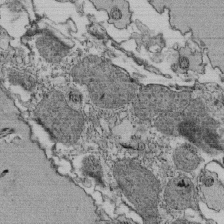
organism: Tetrahymena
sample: Cilia in tetrahymena